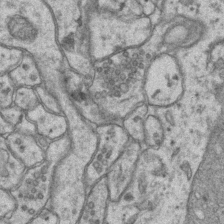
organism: Mouse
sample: CA1 Hippocampus